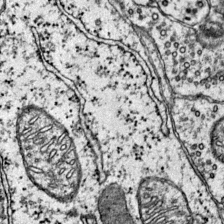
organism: Mouse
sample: Primary visual cortex